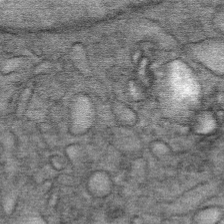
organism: Mouse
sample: Mouse Salivary gland